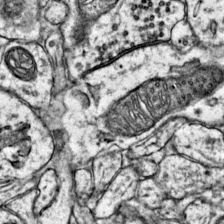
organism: Mouse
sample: Primary visual cortex